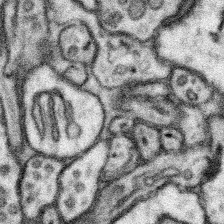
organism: Mouse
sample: Somatosensory cortex neuropil